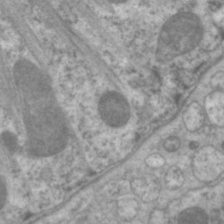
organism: C. elegans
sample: Pharynx